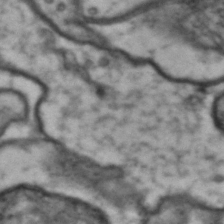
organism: Drosophila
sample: Brain